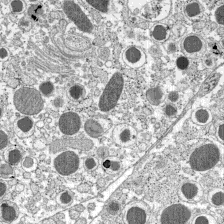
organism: C57BL Mouse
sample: Pancreatic islet